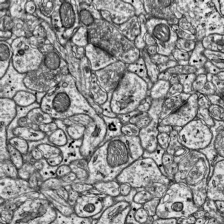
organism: Mouse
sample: Visual Cortex